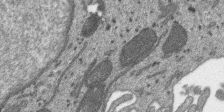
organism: Human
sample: Lung epithelial cells infected with SARS-CoV-2